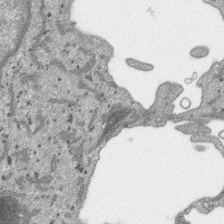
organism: Human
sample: Lung epithelial cells infected with SARS-CoV-2